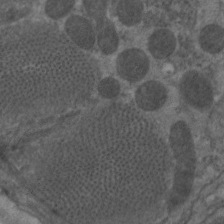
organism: C. elegans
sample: Pharynx